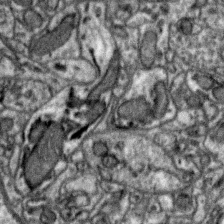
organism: Zebra finch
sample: Brain